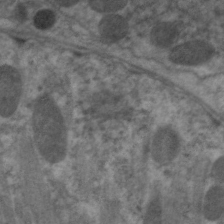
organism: C. elegans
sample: Pharynx